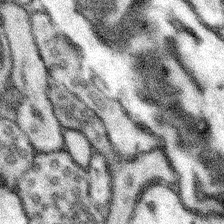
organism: Mouse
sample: Somatosensory cortex neuropil